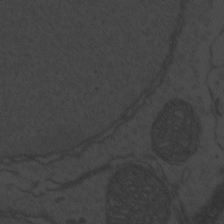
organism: Zebrafish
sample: Macrophage infected with Toxoplasma gondii